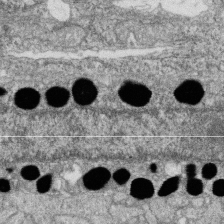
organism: Zebrafish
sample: Cilia; retinal pigment epithelium